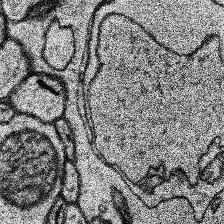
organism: Human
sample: Temporal Lobe